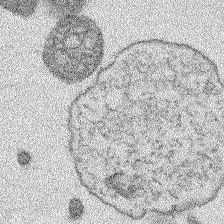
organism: Human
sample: HeLa cells